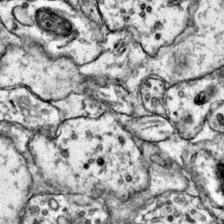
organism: Mouse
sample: Primary visual cortex